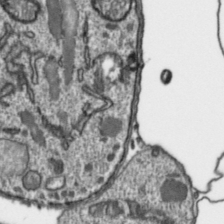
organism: Toxoplasma gondii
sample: Parasites in a vacuole inside a host cell